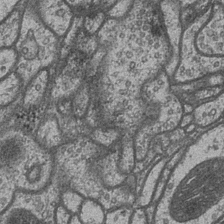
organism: Drosophila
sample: Optic medulla